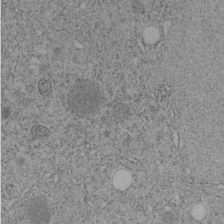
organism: C. elegans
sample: C. elegans embryo early stage